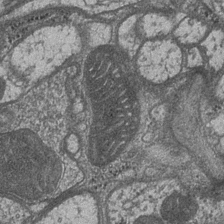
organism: Drosophila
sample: Optic medulla